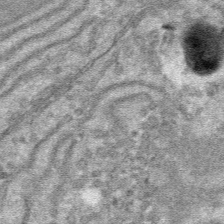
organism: Mouse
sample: Mouse hepatocytes